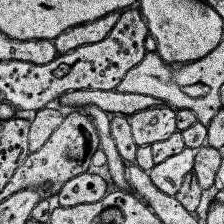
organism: Human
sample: Temporal Lobe